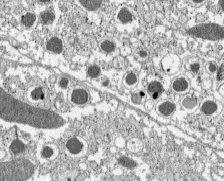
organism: C57BL Mouse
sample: Pancreatic islet